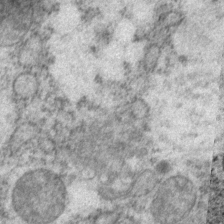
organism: P. pacificus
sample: Pharynx